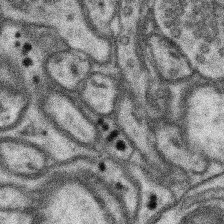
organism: Mouse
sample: Somatosensory cortex neuropil